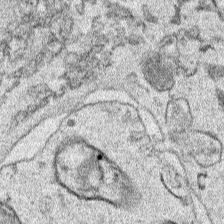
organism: Human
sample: Mitochondria in HCT116 cells